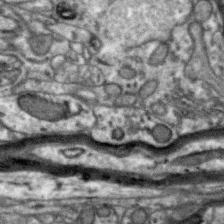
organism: Zebra finch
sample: Brain